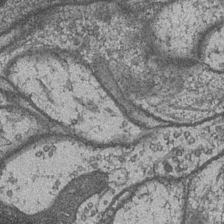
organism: Drosophila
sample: Optic medulla